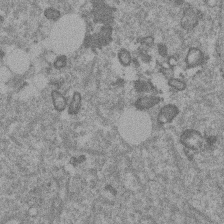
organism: Mouse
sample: Dividing mouse embryo 1 cell stage